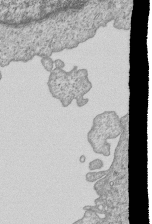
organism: Human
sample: MDA-MB-231 cells